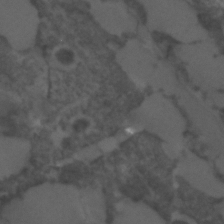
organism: C. elegans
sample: C. elegans embryo